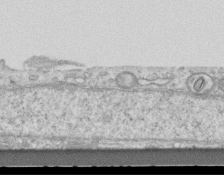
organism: Mouse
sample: Centriole in ependymal cells